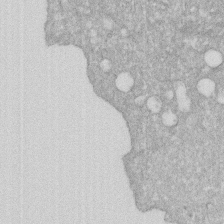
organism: Human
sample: HIV infected U937 cells